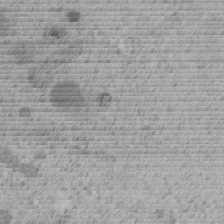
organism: C. elegans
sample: C. elegans embryo early stage